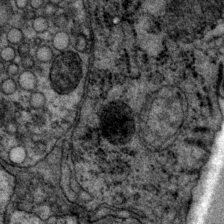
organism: P. pacificus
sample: Pharynx